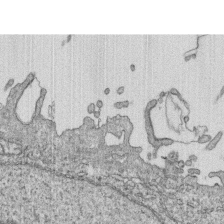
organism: Human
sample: HeLa cell HIV synapse